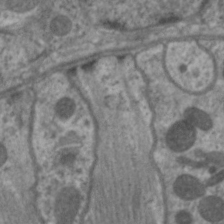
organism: C. elegans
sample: Pharynx